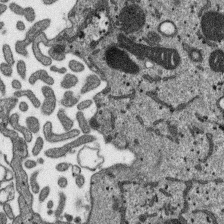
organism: Human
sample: Lung epithelial cells infected with SARS-CoV-2